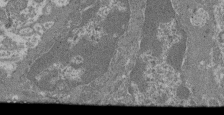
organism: Mouse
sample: Glomerulus